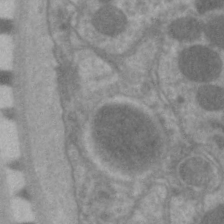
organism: C. elegans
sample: Pharynx